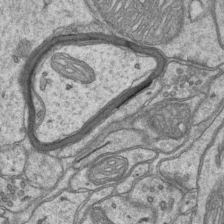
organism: Mouse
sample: CA1 Hippocampus